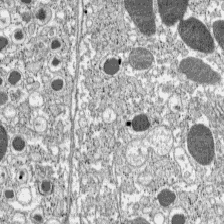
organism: C57BL Mouse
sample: Pancreatic islet